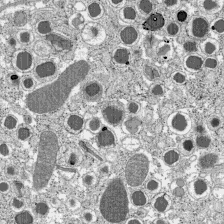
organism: C57BL Mouse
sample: Pancreatic islet